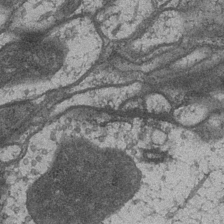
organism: Drosophila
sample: Optic medulla